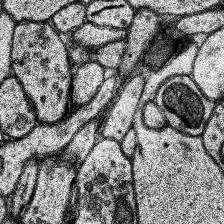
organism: Human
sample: Temporal Lobe